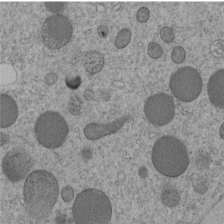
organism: C. elegans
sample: C. elegans embryo early stage